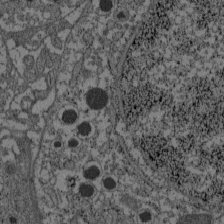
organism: C57BL Mouse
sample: Pancreatic islet